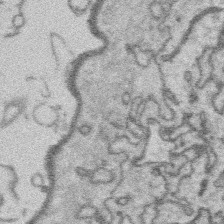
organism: Platynereis dumerilii